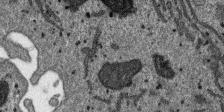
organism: Human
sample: Lung epithelial cells infected with SARS-CoV-2